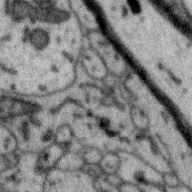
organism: Zebra finch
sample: Brain